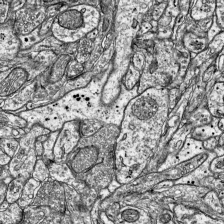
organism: Mouse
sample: Visual Cortex